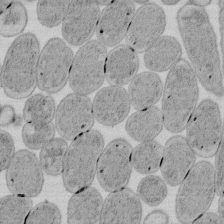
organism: E. coli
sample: Bacterial nucleoid